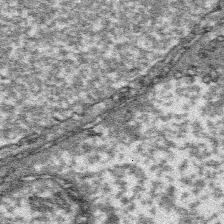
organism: Platynereis dumerilii